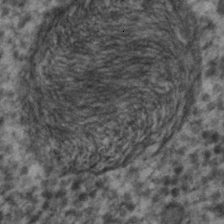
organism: C. elegans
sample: C. elegans embryo